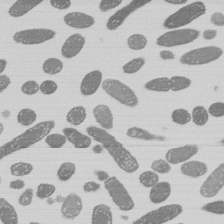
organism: E. coli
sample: Bacterial nucleoid